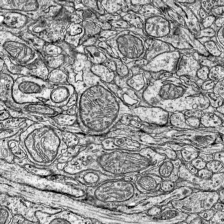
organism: Mouse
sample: Visual Cortex